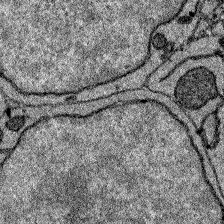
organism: Zebrafish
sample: Larval olfactory bulb